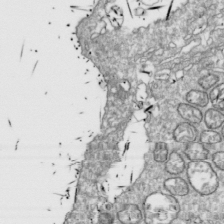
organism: Drosophila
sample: Cell division; meiosis; drosophila spermatocytes